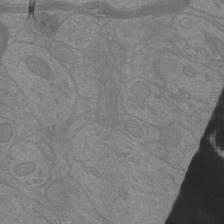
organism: Mouse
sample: Cortical neurons